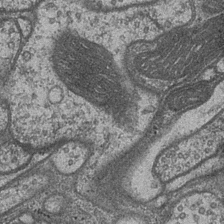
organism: Drosophila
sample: Optic medulla